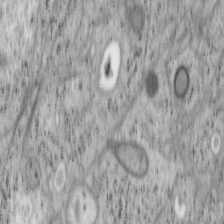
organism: Human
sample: HeLa cells